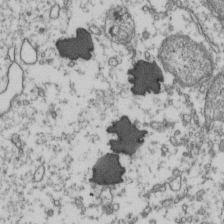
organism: Human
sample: Activated Jurkat CD4+ T cells